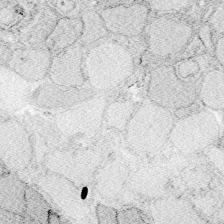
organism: Zebrafish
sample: Whole-Brain